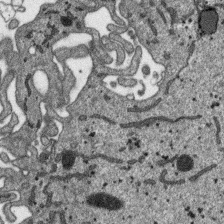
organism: Human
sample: Lung epithelial cells infected with SARS-CoV-2